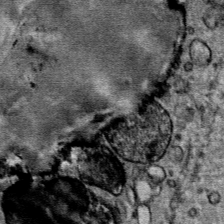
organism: Mouse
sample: Mouse Salivary gland